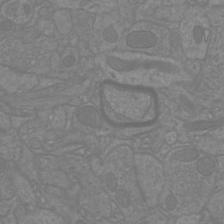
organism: Mouse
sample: Cortical neurons